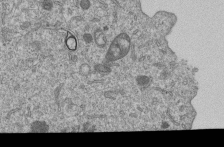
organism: Human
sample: MDA-MB-231 cells